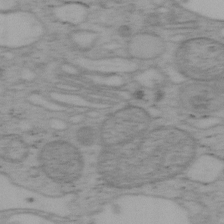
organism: Mouse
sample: OT-I killer T cells with ID8 ovarian cancer cells